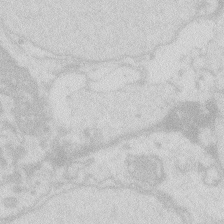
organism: Zebrafish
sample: Macrophage